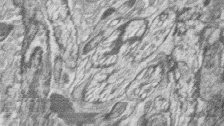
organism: Zebrafish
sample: synaptic ribbons in rod cells and cone cells